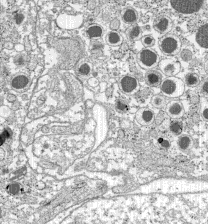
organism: C57BL Mouse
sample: Pancreatic islet